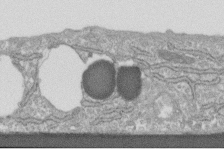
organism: Human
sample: Centriole in fibroblast cells